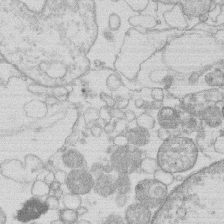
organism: Human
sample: Macrophage cells